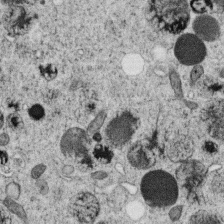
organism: C. elegans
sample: C. elegans oocyte; sperm cells